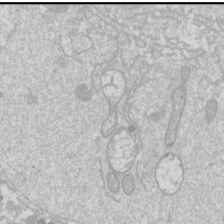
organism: Drosophila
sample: Cell division; meiosis; drosophila spermatocytes